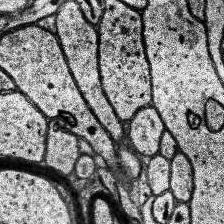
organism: Human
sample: Temporal Lobe